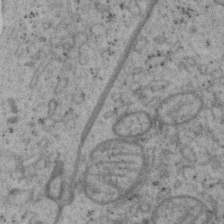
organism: Human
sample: HeLa cells